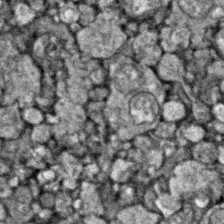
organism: Zebrafish